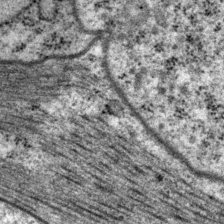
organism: P. pacificus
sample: Pharynx